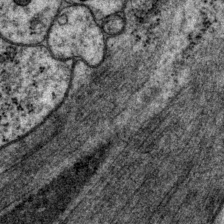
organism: P. pacificus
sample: Pharynx